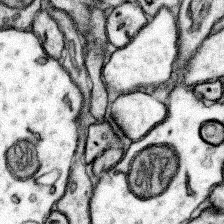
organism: Mouse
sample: Somatosensory cortex neuropil